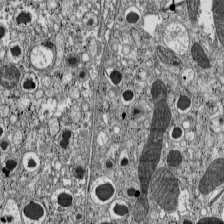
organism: C57BL Mouse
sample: Pancreatic islet